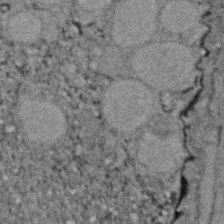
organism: Zebrafish